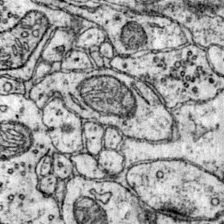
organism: Mouse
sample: Primary visual cortex